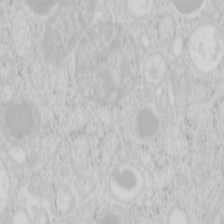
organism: Mouse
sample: Pancreas